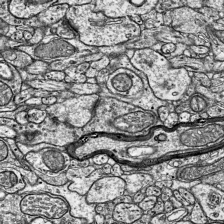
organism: Mouse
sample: Visual Cortex